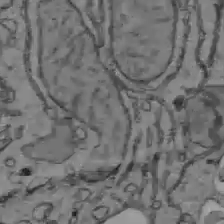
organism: C57BL Mouse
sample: Liver